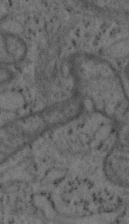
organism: Human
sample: HeLa cells